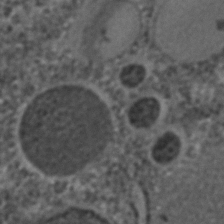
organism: C. elegans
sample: C. elegans embryo